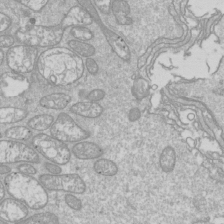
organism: Drosophila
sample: Cell division; meiosis; drosophila spermatocytes